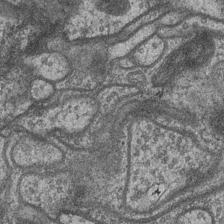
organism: Drosophila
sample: Optic medulla